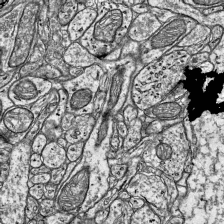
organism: Mouse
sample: Visual Cortex